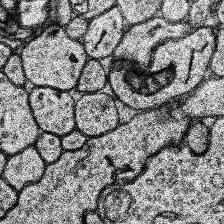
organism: Human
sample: Temporal Lobe